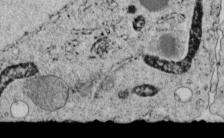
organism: C. elegans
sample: C. elegans embryo early stage